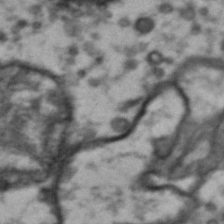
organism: Drosophila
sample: Brain